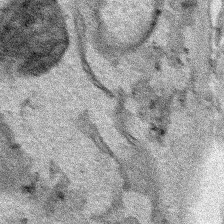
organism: Human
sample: Mitochondria in HCT116 cells